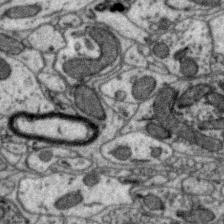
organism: Zebra finch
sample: Brain